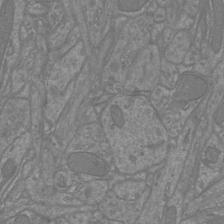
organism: Mouse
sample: Cortical neurons